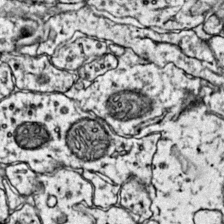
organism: Mouse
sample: Primary visual cortex